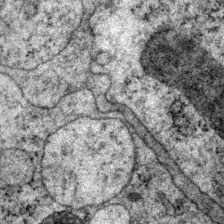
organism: P. pacificus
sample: Pharynx